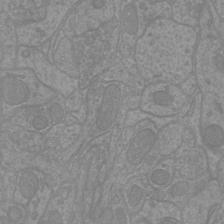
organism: Mouse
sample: Cortical neurons